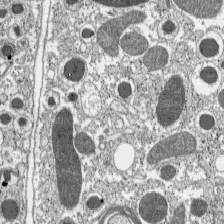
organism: C57BL Mouse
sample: Pancreatic islet